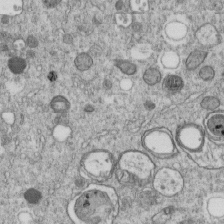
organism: C. elegans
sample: C. elegans embryo early stage